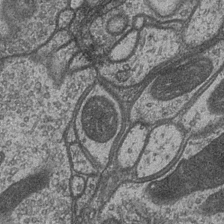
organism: Drosophila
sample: Optic medulla